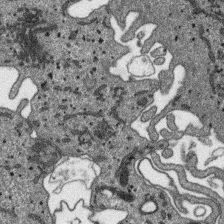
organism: Human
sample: Lung epithelial cells infected with SARS-CoV-2